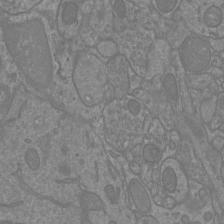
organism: Mouse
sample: Cortical neurons